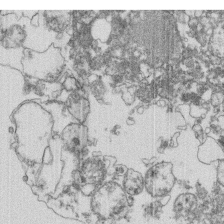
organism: Human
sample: HeLa cell HIV synapse